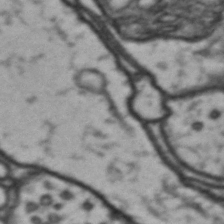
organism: Drosophila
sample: Brain